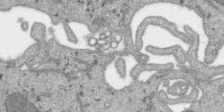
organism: Human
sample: Lung epithelial cells infected with SARS-CoV-2